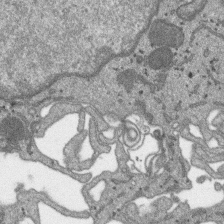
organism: Human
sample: Lung epithelial cells infected with SARS-CoV-2